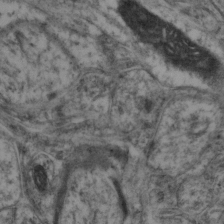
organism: Mouse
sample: Neocortex